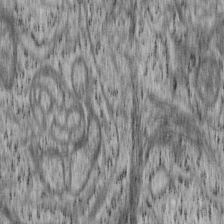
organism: Human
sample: HeLa cells